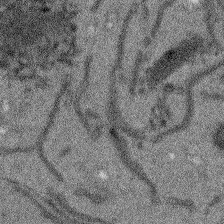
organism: Arabidopsis thaliana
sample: Root tip